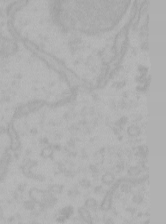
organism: Mouse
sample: Choroid plexus